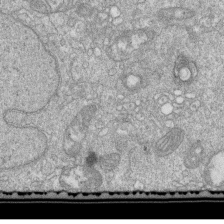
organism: Human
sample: HeLa cell HIV synapse